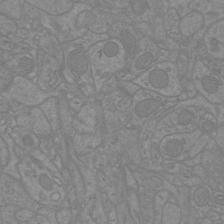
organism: Mouse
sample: Cortical neurons